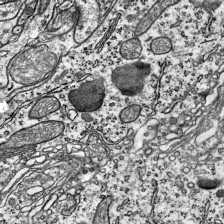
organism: Mouse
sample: Visual Cortex